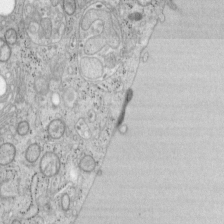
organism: Mouse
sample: OT-I killer T cells with ID8 ovarian cancer cells